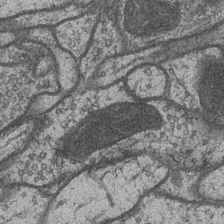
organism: Drosophila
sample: Optic medulla